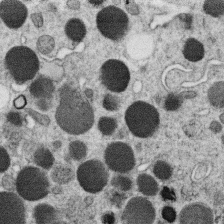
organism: C. elegans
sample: C. elegans oocyte; sperm cells